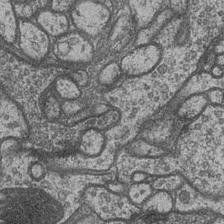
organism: Drosophila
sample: Optic medulla